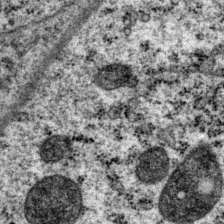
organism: P. pacificus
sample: Pharynx